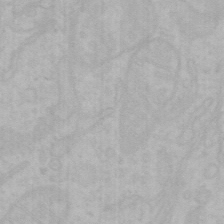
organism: Mouse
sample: Choroid plexus